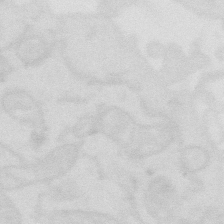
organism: Human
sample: HeLa cells